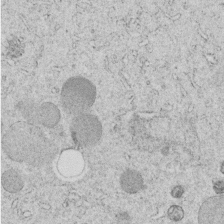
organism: C. elegans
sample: C. elegans embryo early stage